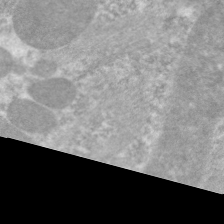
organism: C. elegans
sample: Pharynx